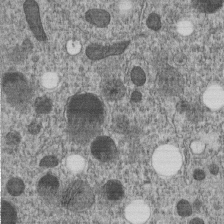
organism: C. elegans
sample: C. elegans embryo early stage